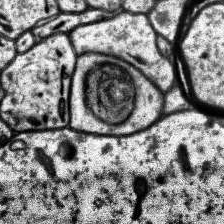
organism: Human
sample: Temporal Lobe